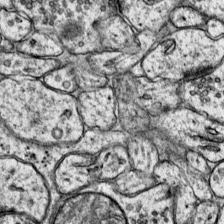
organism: Mouse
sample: Primary visual cortex